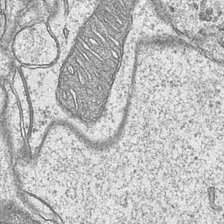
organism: Mouse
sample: CA1 Hippocampus